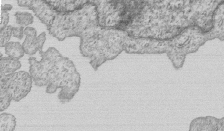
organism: Human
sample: MDA-MB-231 cells